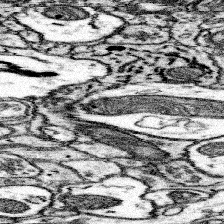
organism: Mouse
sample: Somatosensory cortex neuropil